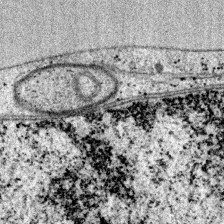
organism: Human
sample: HeLa cells